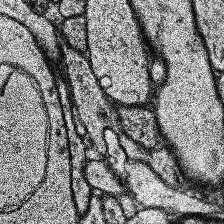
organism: Human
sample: Temporal Lobe